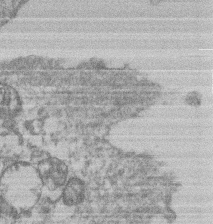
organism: Mouse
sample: T cell stromal cell synapse